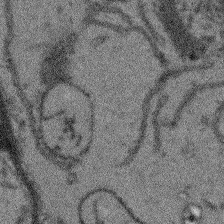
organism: Arabidopsis thaliana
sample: Root tip